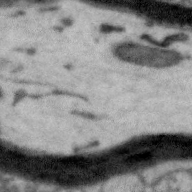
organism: Zebra finch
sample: Brain